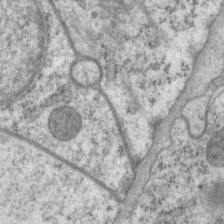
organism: P. pacificus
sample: Pharynx